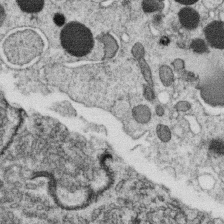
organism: C. elegans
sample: C. elegans oocyte; sperm cells